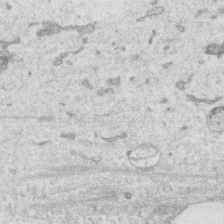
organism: Human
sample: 1205lu cells